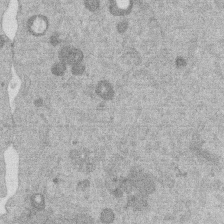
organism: Mouse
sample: Dividing mouse embryo 1 cell stage